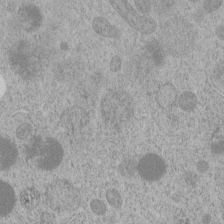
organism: C. elegans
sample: C. elegans embryo early stage